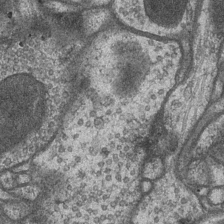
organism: Drosophila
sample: Optic medulla